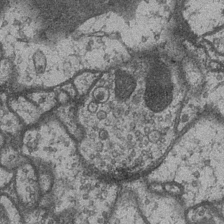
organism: Drosophila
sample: Optic medulla